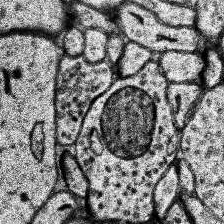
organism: Human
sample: Temporal Lobe